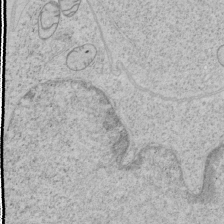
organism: Human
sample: Mitochondria in HCT116 cells